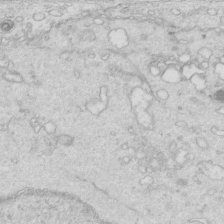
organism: Mouse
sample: Multiciliated cells